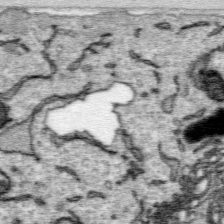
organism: Human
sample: HeLa cells